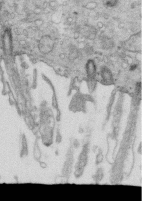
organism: Mouse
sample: Multiciliated cells